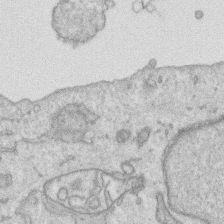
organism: Human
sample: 1205lu cells